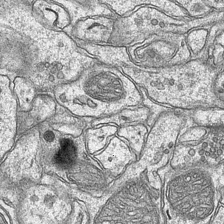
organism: Mouse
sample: CA1 Hippocampus